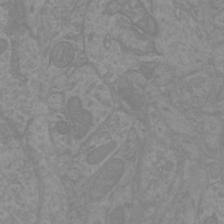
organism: Mouse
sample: Cortical neurons